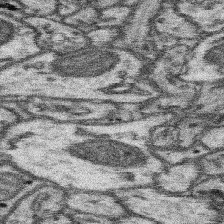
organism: Mouse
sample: Somatosensory cortex neuropil